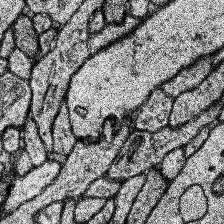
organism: Human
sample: Temporal Lobe